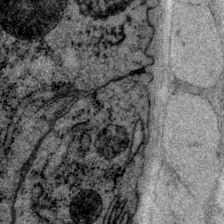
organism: P. pacificus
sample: Pharynx